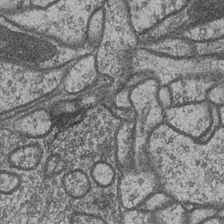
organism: Drosophila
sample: Optic medulla